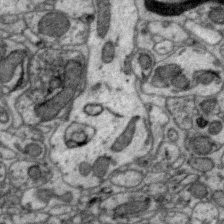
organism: Zebra finch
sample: Brain